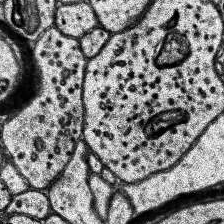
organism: Human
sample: Temporal Lobe